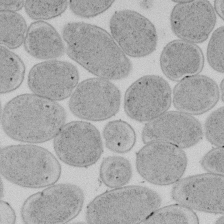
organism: E. coli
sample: Bacterial nucleoid